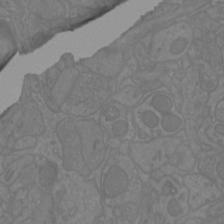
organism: Mouse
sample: Cortical neurons